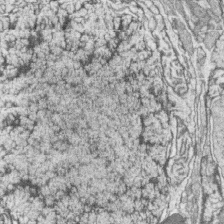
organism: Zebrafish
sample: synaptic ribbons in rod cells and cone cells